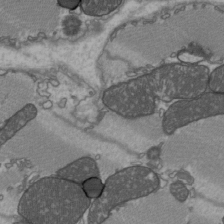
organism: C57BL Mouse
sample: Heart